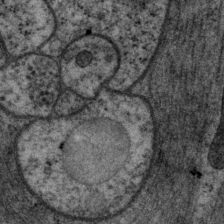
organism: P. pacificus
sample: Pharynx